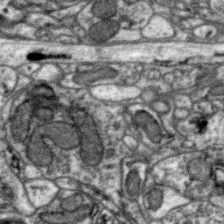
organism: Zebra finch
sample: Brain